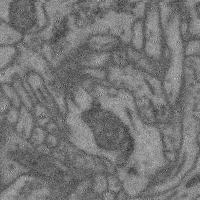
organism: Mouse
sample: Cerebral cortex